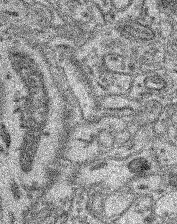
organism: Mouse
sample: Retina